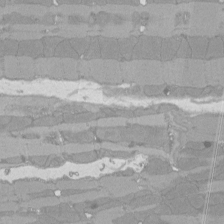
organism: Rat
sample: Left ventricle